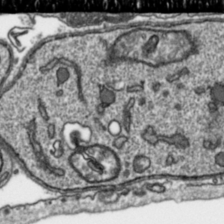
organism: Toxoplasma gondii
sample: Parasites in a vacuole inside a host cell